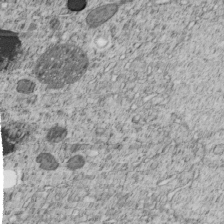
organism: C. elegans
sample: C. elegans embryo early stage